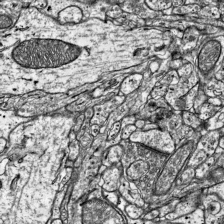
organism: Mouse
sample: Visual Cortex